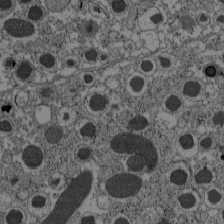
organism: C57BL Mouse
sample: Pancreatic islet